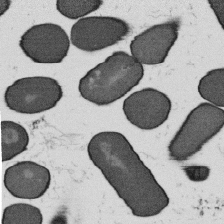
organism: B. subtilis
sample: Bacterial spore